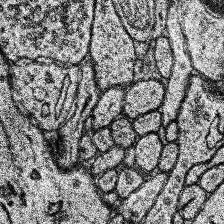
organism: Human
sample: Temporal Lobe